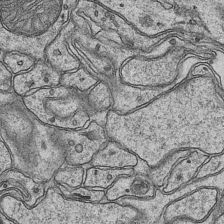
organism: Mouse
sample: CA1 Hippocampus